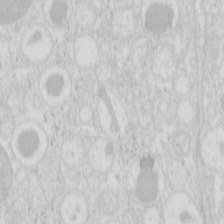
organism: Mouse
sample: Pancreas